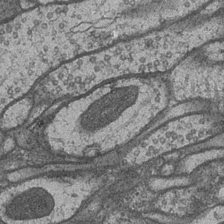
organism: Drosophila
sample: Optic medulla